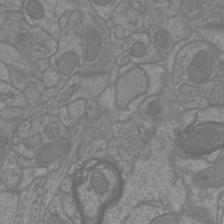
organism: Mouse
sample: Cortical neurons